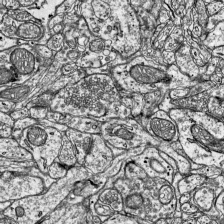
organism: Mouse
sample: Visual Cortex